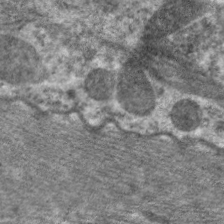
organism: C. elegans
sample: Pharynx